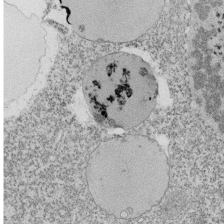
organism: Tetrahymena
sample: Cilia in tetrahymena